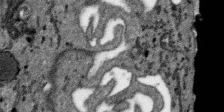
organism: Human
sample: Lung epithelial cells, uninfected (mock) control